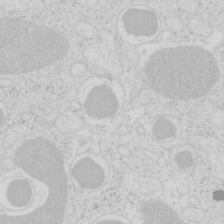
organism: Mouse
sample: Pancreas